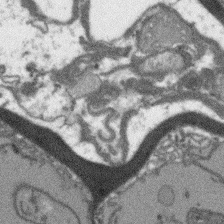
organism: Arabidopsis thaliana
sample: Root tip